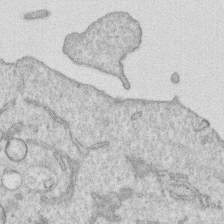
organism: Human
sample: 1205lu cells